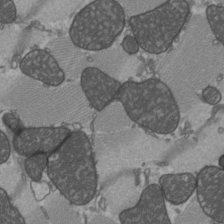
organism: C57BL Mouse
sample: Heart